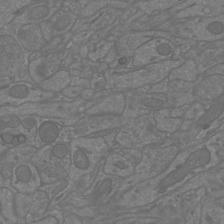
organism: Mouse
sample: Cortical neurons